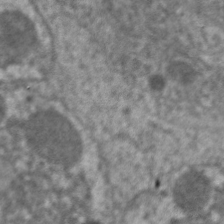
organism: C. elegans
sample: Pharynx